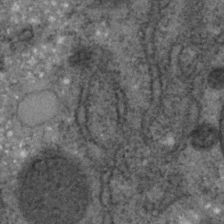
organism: C. elegans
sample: C. elegans embryo